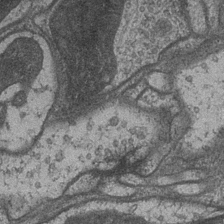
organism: Drosophila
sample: Optic medulla